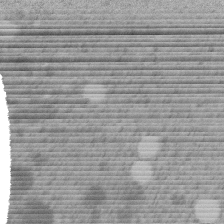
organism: C. elegans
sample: C. elegans embryo early stage